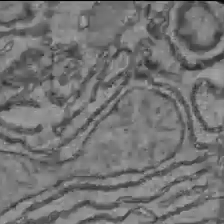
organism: C57BL Mouse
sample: Liver